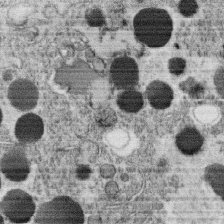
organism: C. elegans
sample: C. elegans oocyte; sperm cells